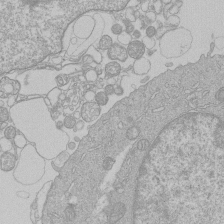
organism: Human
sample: Macrophage cells